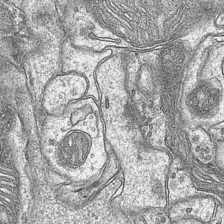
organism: Mouse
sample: CA1 Hippocampus